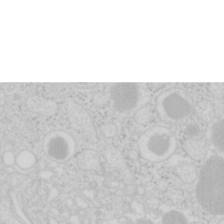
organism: Mouse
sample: Pancreas